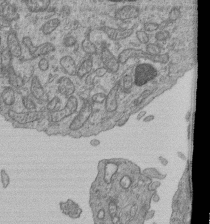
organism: Human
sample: Retinal organoid Rod and Cone cells